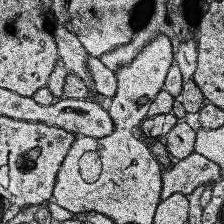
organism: Human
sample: Temporal Lobe